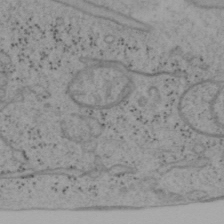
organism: Human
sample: HeLa cells